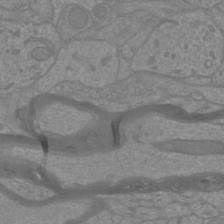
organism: Mouse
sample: Cortical neurons